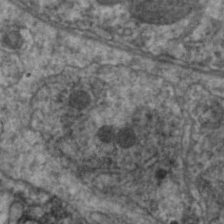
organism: C. elegans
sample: Pharynx